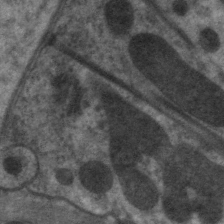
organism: C. elegans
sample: Pharynx